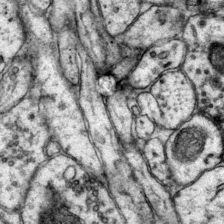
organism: Mouse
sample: Primary visual cortex